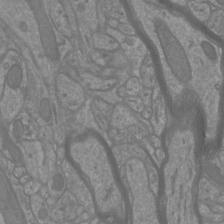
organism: Mouse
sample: Cortical neurons